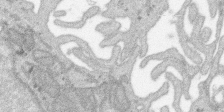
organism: Human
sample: Lung epithelial cells infected with SARS-CoV-2